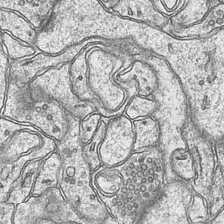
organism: Mouse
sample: CA1 Hippocampus